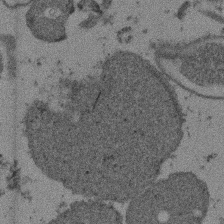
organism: Mouse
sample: Dividing mouse embryo 1 cell stage